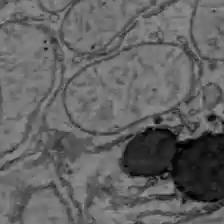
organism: C57BL Mouse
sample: Liver